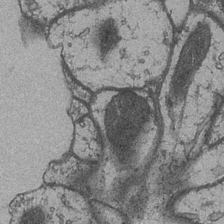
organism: Drosophila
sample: Optic medulla